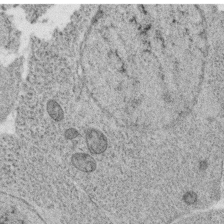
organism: C. elegans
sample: C. elegans oocyte; sperm cells